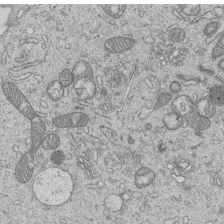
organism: Human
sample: MDA-MB-231 cells